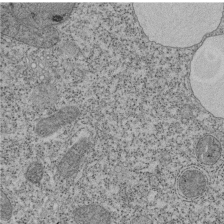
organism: Tetrahymena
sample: Cilia in tetrahymena